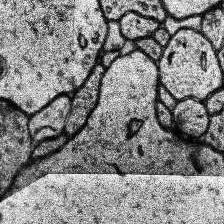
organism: Human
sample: Temporal Lobe